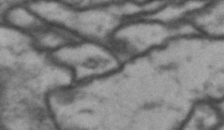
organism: Drosophila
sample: Brain